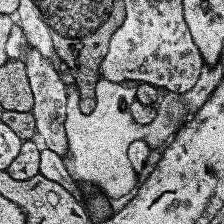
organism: Human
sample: Temporal Lobe